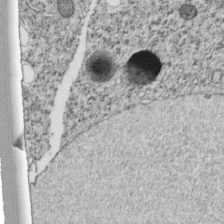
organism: C. elegans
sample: C. elegans embryo early stage